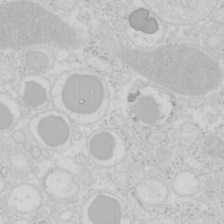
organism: Mouse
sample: Pancreas